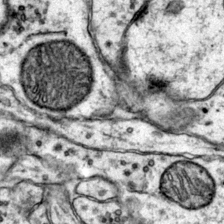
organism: Mouse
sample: Primary visual cortex